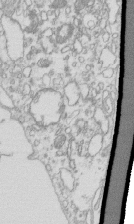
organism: Mouse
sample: Macrophages